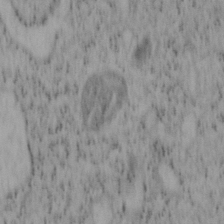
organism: Mouse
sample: OT-I killer T cells with ID8 ovarian cancer cells